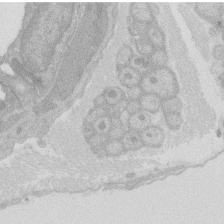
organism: Rat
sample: Salivary granule